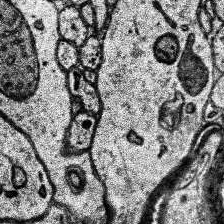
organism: Human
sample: Temporal Lobe